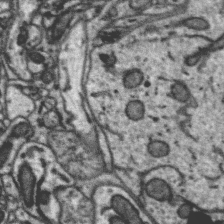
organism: Zebra finch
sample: Brain